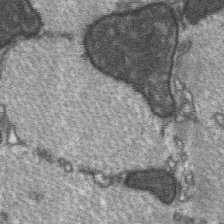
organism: C57BL Mouse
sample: Soleus